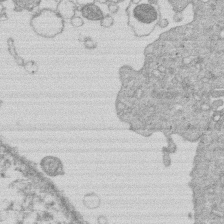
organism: Human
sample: Macrophage cells